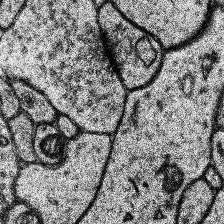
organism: Human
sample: Temporal Lobe